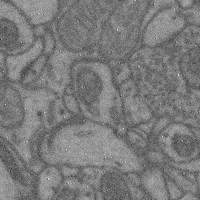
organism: Mouse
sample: Cerebral cortex